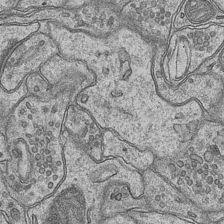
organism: Mouse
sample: CA1 Hippocampus